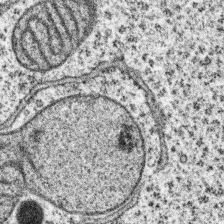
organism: Human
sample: HeLa cells